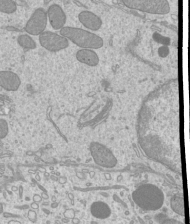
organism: Mouse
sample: Cilia; mouse epididymis